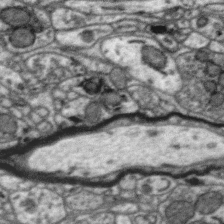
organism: Zebra finch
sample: Brain